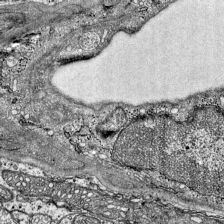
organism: Mouse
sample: Visual Cortex